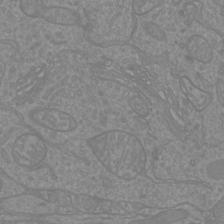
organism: Mouse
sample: Cortical neurons